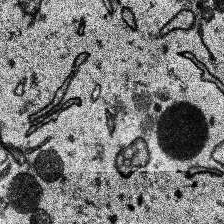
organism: Human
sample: Temporal Lobe